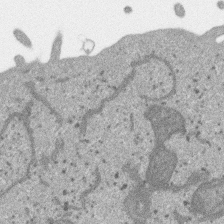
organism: Human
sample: Lung epithelial cells infected with SARS-CoV-2